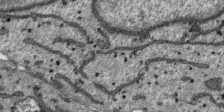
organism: Human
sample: Lung epithelial cells, uninfected (mock) control